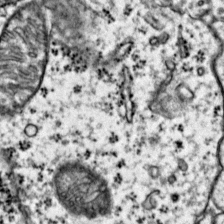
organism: Mouse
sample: Primary visual cortex